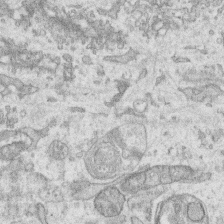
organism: Human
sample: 1205lu cells